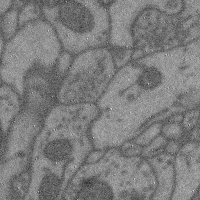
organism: Mouse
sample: Cerebral cortex